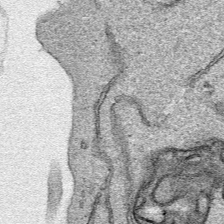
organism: Human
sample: Mitochondria in HCT116 cells